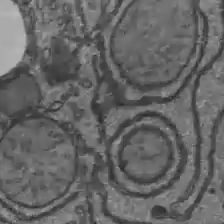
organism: C57BL Mouse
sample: Liver